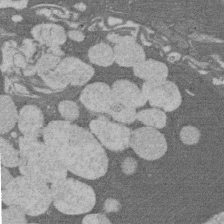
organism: Rat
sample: Salivary granule